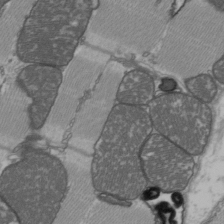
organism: C57BL Mouse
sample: Heart